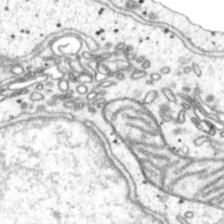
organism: Human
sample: HeLa cells